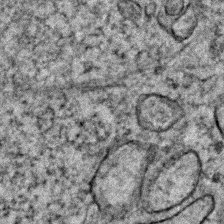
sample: Trachea